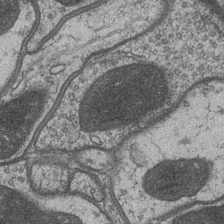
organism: Drosophila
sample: Optic medulla